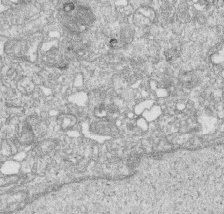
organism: Human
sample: HeLa cell HIV synapse